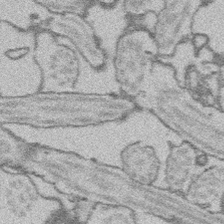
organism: Platynereis dumerilii